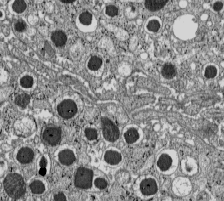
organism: C57BL Mouse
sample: Pancreatic islet